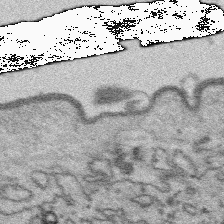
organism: Platynereis dumerilii